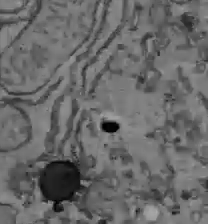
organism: C57BL Mouse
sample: Liver